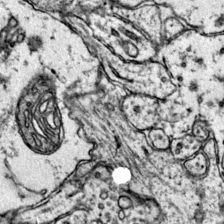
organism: Mouse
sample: Primary visual cortex